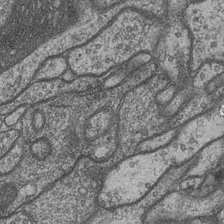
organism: Drosophila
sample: Optic medulla